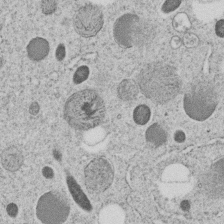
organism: C. elegans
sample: C. elegans embryo early stage